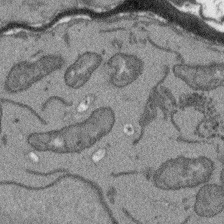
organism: Arabidopsis thaliana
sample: Root tip